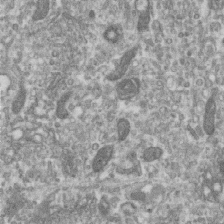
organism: Human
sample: Centriole in RPE cells